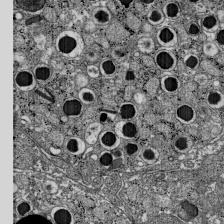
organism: C57BL Mouse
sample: Pancreatic islet